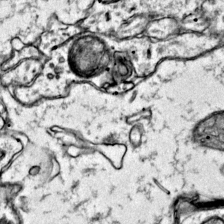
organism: Mouse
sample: Primary visual cortex